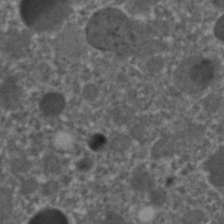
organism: C. elegans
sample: C. elegans embryo